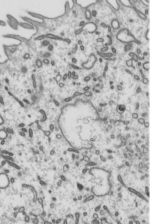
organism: Mouse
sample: Mouse epididymis efferent ductule cilia